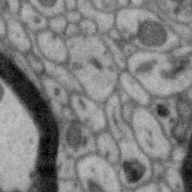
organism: Zebra finch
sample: Brain